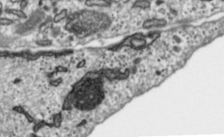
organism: Toxoplasma gondii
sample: Parasites in a vacuole inside a host cell